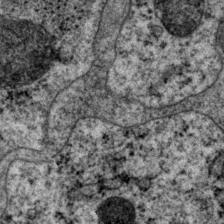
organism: P. pacificus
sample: Pharynx